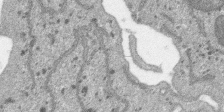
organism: Human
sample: Lung epithelial cells infected with SARS-CoV-2